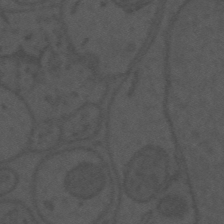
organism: Mouse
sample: Suprachiasmatic nucleus